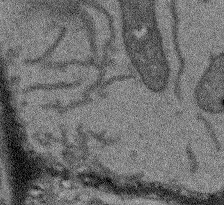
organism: Arabidopsis thaliana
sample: Root tip